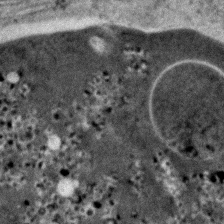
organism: Zebrafish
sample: Zebrafish embryo